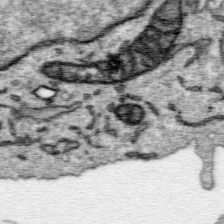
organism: Human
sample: HeLa cells